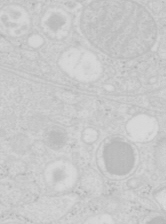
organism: Mouse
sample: Pancreas